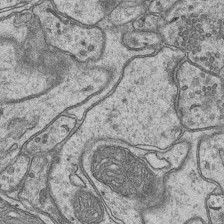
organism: Mouse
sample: CA1 Hippocampus